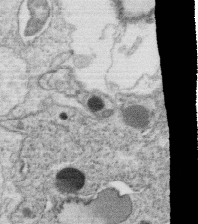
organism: C. elegans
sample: C. elegans oocyte; sperm cells